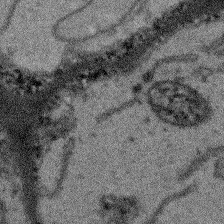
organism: Arabidopsis thaliana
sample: Root tip